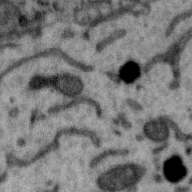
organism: Zebra finch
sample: Brain